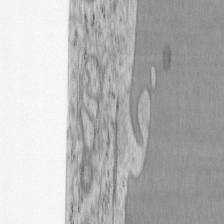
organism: Human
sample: HeLa cells